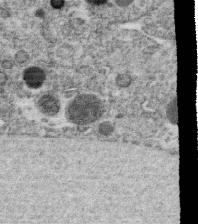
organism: C. elegans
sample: C. elegans oocyte; sperm cells